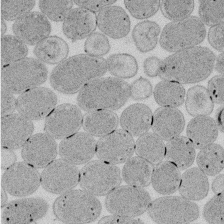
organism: E. coli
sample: Bacterial nucleoid